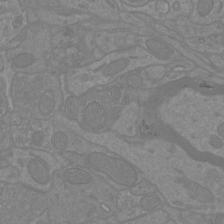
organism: Mouse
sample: Cortical neurons